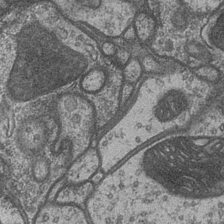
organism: Drosophila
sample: Optic medulla